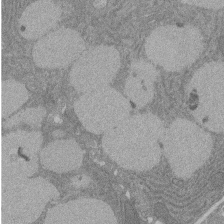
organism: Rat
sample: Salivary granule